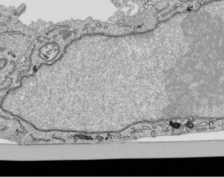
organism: Human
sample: Mitochondria in HCT116 cells